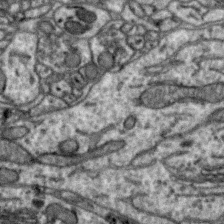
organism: Zebra finch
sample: Brain